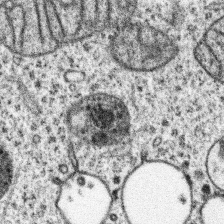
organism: Human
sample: HeLa cells